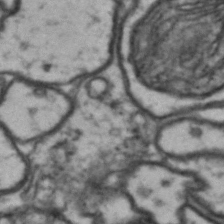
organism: Drosophila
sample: Brain